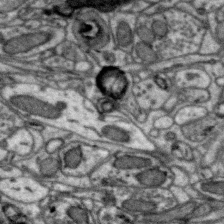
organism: Zebra finch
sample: Brain